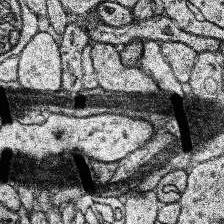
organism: Human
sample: Temporal Lobe